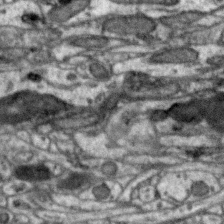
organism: Zebra finch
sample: Brain